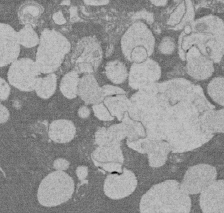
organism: Rat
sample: Salivary granule